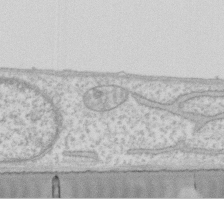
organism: Human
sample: Fibroblast cells